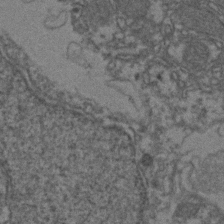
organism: Zebrafish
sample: Zebrafish embryo